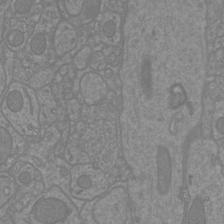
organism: Mouse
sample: Cortical neurons